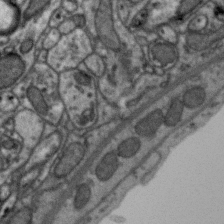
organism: Zebra finch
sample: Brain